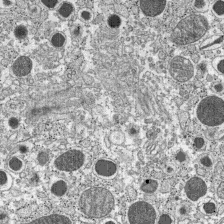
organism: C57BL Mouse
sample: Pancreatic islet